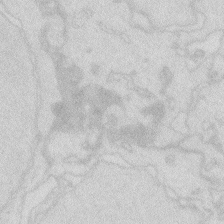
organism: Zebrafish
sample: Macrophage